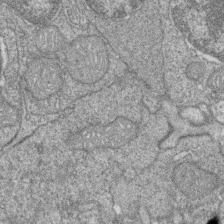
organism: Zebrafish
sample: Cilia; retinal pigment epithelium